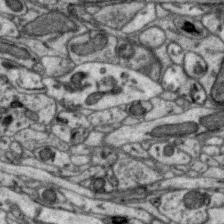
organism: Zebra finch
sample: Brain